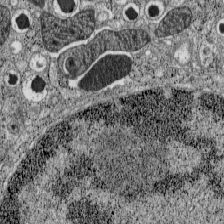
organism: C57BL Mouse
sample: Pancreatic islet